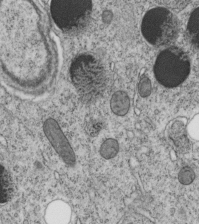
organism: C. elegans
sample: C. elegans embryo early stage